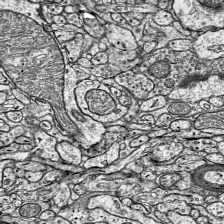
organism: Mouse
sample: Visual Cortex